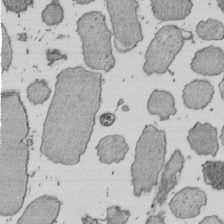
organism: E. coli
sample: Bacterial nucleoid